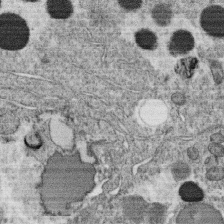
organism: C. elegans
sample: C. elegans oocyte; sperm cells